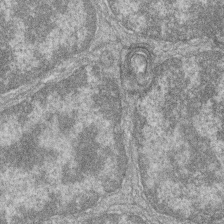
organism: Zebrafish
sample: Cilia; retinal pigment epithelium